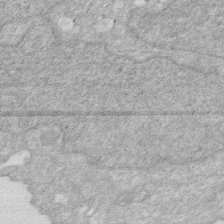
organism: Human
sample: HIV infected U937 cells